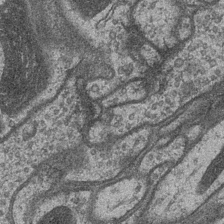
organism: Drosophila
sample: Optic medulla